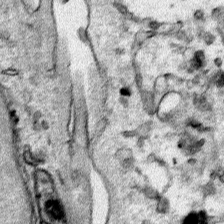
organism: Human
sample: Mitochondria in HCT116 cells